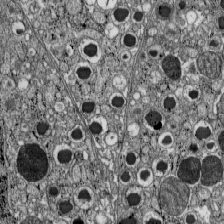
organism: C57BL Mouse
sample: Pancreatic islet